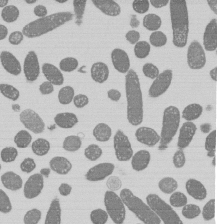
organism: E. coli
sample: Bacterial nucleoid